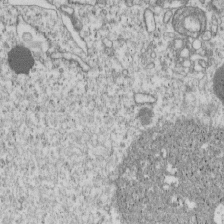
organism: Human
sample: MDA-MB-231 cells